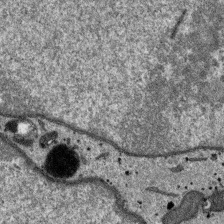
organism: Human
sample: Lung epithelial cells, uninfected (mock) control